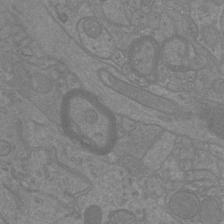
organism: Mouse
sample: Cortical neurons